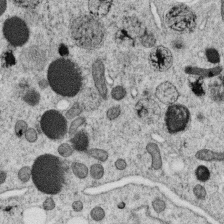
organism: C. elegans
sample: C. elegans oocyte; sperm cells